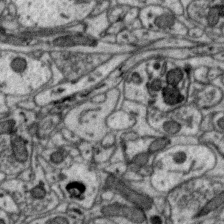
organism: Zebra finch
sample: Brain